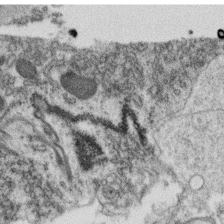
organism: C. elegans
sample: C. elegans oocyte; sperm cells